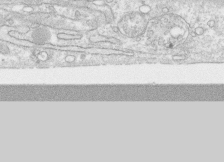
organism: Human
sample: CRL-1474